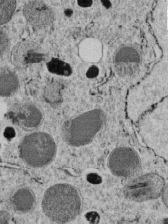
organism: C. elegans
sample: C. elegans embryo early stage